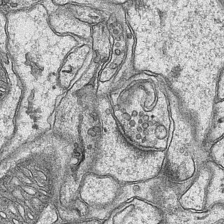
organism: Mouse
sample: CA1 Hippocampus